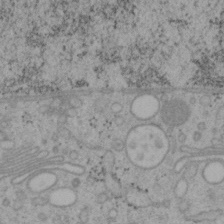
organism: Human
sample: HeLa cells